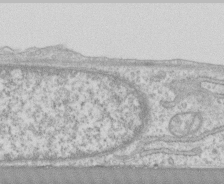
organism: Human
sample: CRL-1474